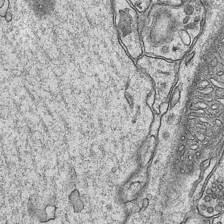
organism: Mouse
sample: CA1 Hippocampus